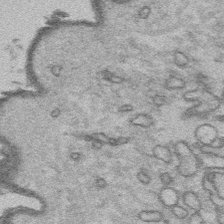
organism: Platynereis dumerilii